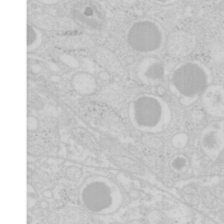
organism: Mouse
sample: Pancreas